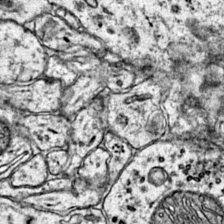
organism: Mouse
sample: Primary visual cortex